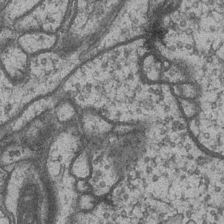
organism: Drosophila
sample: Optic medulla